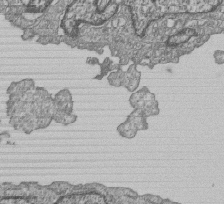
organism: Human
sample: MDA-MB-231 cells